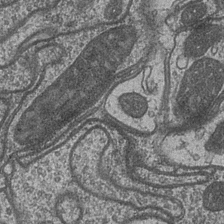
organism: Drosophila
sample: Optic medulla